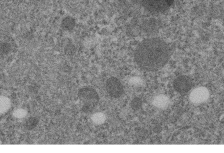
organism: C. elegans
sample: C. elegans embryo early stage